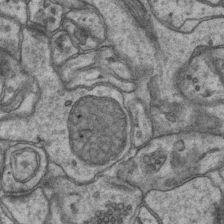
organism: Mouse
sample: CA1 Hippocampus